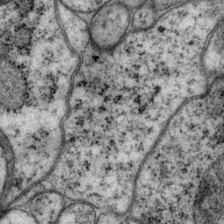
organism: P. pacificus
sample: Pharynx